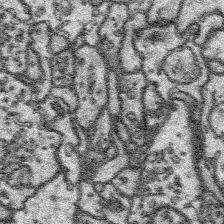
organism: Platynereis dumerilii